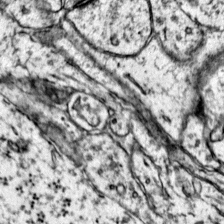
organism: Mouse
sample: Primary visual cortex